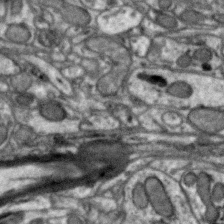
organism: Zebra finch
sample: Brain